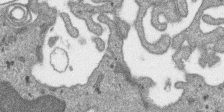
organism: Human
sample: Lung epithelial cells infected with SARS-CoV-2